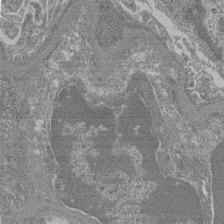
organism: Mouse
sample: Glomerulus